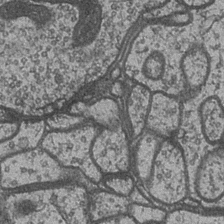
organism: Drosophila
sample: Optic medulla